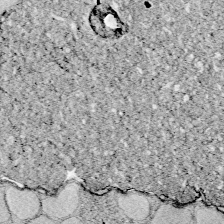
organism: Zebrafish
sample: Whole-Brain